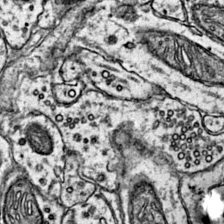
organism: Mouse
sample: Primary visual cortex